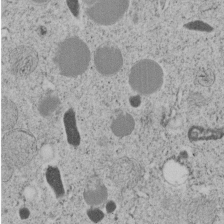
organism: C. elegans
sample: C. elegans embryo early stage